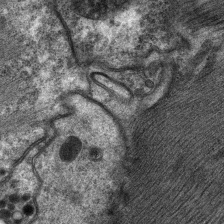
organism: C. elegans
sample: Pharynx